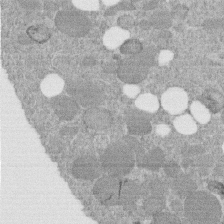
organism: C. elegans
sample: C. elegans embryo early stage